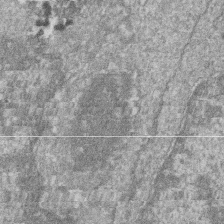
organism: Zebrafish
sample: Cilia; retinal pigment epithelium